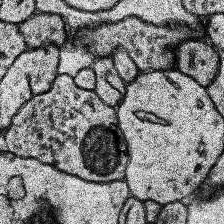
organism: Human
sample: Temporal Lobe